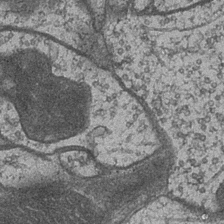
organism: Drosophila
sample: Optic medulla